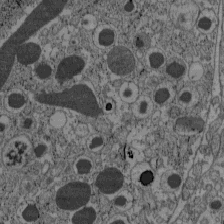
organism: C57BL Mouse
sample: Pancreatic islet